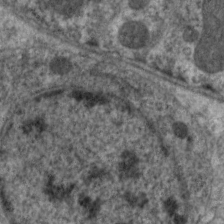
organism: C. elegans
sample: Pharynx